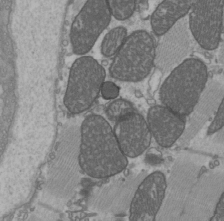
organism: C57BL Mouse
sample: Heart